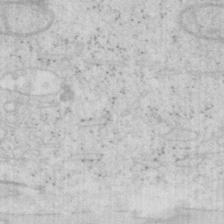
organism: Human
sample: HeLa cells